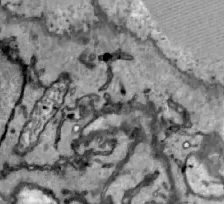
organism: Zebrafish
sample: Actinotrichia fibers